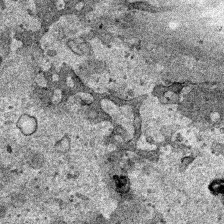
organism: Human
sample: Mitochondria in HCT116 cells